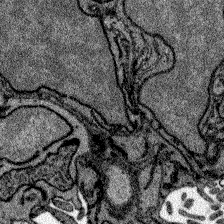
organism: Zebrafish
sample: Larval olfactory bulb